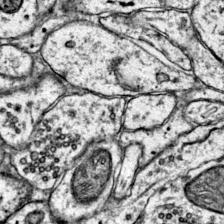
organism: Mouse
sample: Primary visual cortex